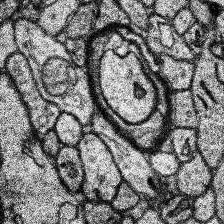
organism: Human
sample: Temporal Lobe